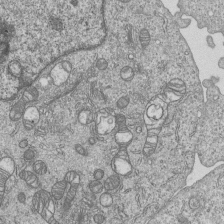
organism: Human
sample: MDA-MB-231 cells